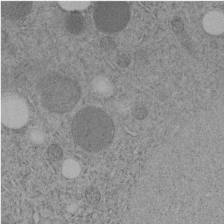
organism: C. elegans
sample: C. elegans embryo early stage